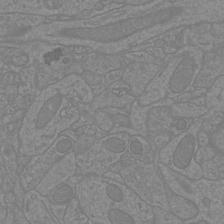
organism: Mouse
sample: Cortical neurons